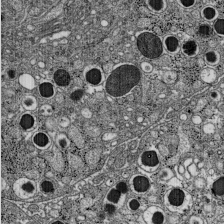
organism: C57BL Mouse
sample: Pancreatic islet